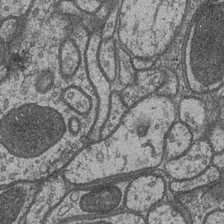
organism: Drosophila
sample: Optic medulla